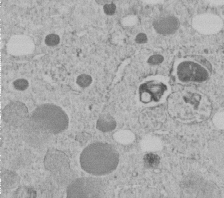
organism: C. elegans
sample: C. elegans embryo early stage